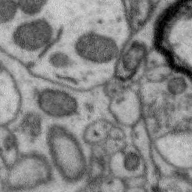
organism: Zebra finch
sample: Brain